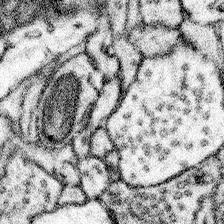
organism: Mouse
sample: Somatosensory cortex neuropil